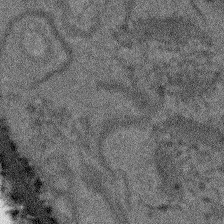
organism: Arabidopsis thaliana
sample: Root tip